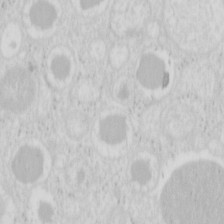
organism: Mouse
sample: Pancreas